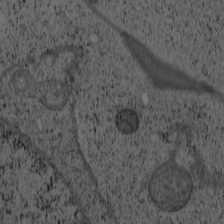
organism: African green monkey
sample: COS-7 cells